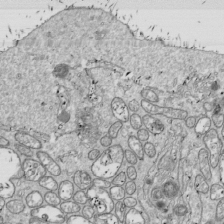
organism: Drosophila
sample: Cell division; meiosis; drosophila spermatocytes